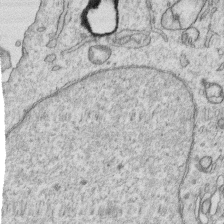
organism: Human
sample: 1205lu cells